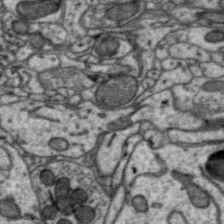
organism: Zebra finch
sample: Brain